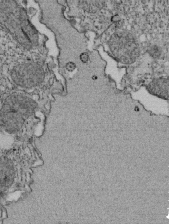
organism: Tetrahymena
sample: Cilia in tetrahymena